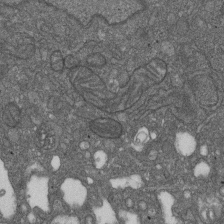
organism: Drosophila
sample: Nephrocyte